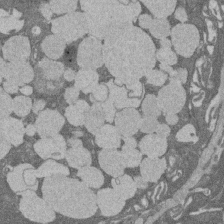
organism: Rat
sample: Salivary granule